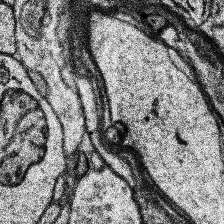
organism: Human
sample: Temporal Lobe